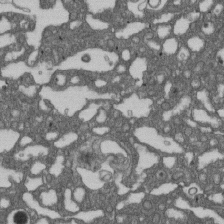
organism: Drosophila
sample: Nephrocyte